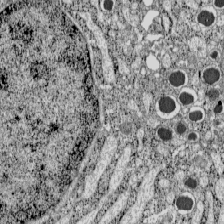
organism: C57BL Mouse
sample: Pancreatic islet